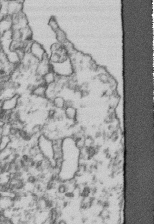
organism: Human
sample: Activated Jurkat CD4+ T cells